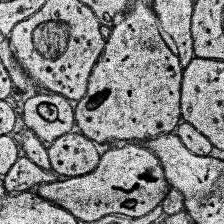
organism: Human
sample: Temporal Lobe